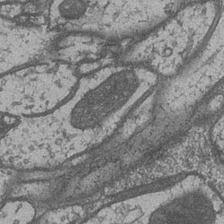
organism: Drosophila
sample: Optic medulla